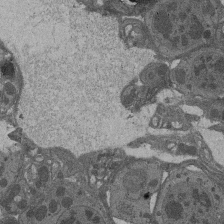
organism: Drosophila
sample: Antenna